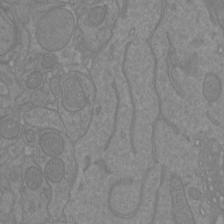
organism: Mouse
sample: Cortical neurons